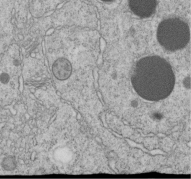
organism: C. elegans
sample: C. elegans embryo early stage